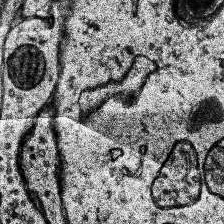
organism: Human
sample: Temporal Lobe